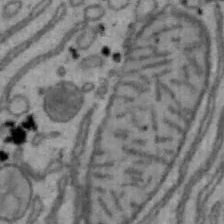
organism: Mouse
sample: Liver